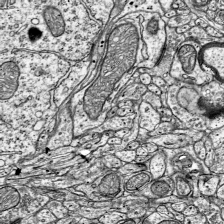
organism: Mouse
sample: Visual Cortex